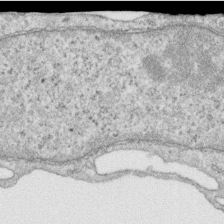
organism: Human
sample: Centriole in RPE cells